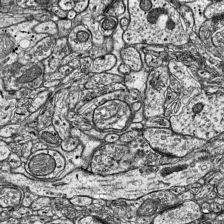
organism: Mouse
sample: Visual Cortex